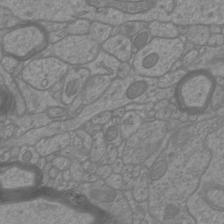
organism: Mouse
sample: Cortical neurons